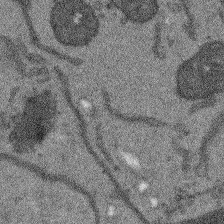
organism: Arabidopsis thaliana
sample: Root tip